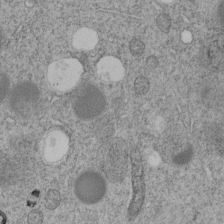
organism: C. elegans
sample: C. elegans embryo early stage